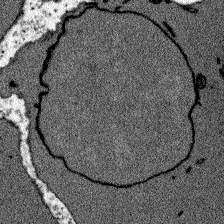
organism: Zebrafish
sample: Larval olfactory bulb